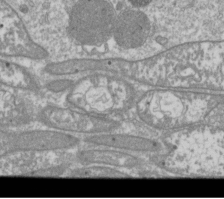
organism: Drosophila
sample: Cell division; meiosis; drosophila spermatocytes